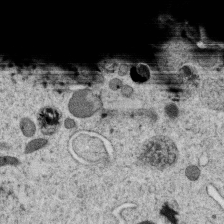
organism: C. elegans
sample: C. elegans oocyte; sperm cells